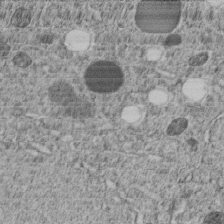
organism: C. elegans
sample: C. elegans embryo early stage